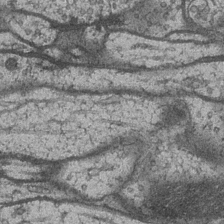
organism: Drosophila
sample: Optic medulla